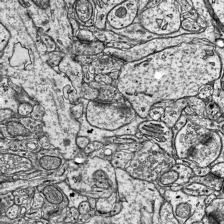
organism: Mouse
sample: Visual Cortex